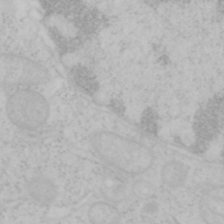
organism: Mouse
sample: OT-I killer T cells with ID8 ovarian cancer cells